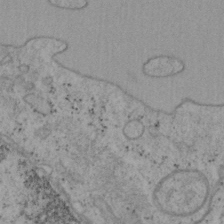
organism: Human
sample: HeLa cells